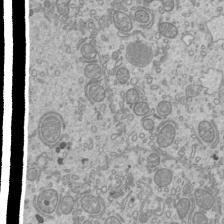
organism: Mouse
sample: Cilia; mouse epididymis